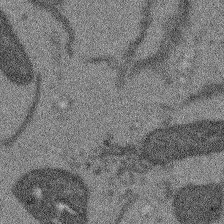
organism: Arabidopsis thaliana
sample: Root tip